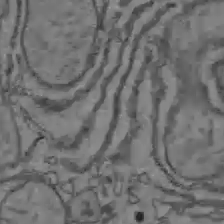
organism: C57BL Mouse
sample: Liver